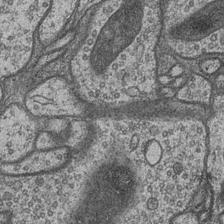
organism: Drosophila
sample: Optic medulla